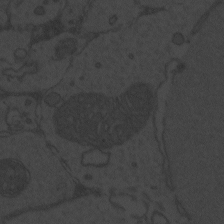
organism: Zebrafish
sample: Macrophage infected with Toxoplasma gondii